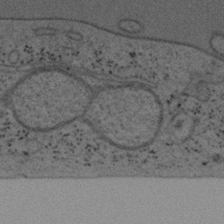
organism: Human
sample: HeLa cells